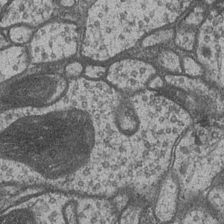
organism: Drosophila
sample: Optic medulla